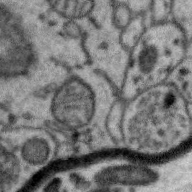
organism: Zebra finch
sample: Brain